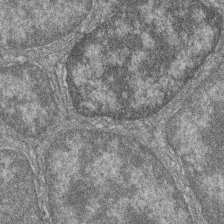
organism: Zebrafish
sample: Cilia; retinal pigment epithelium